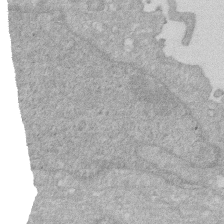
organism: Human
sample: HIV infected U937 cells